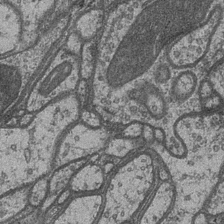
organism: Drosophila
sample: Optic medulla